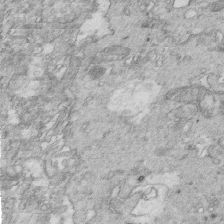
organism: Mouse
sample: Multiciliated cells